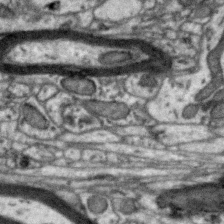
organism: Zebra finch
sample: Brain